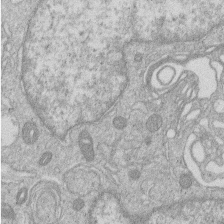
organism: Human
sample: Macrophage cells